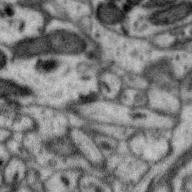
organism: Zebra finch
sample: Brain